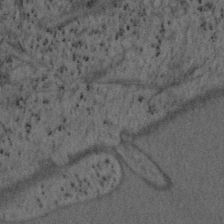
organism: Human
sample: HeLa cells